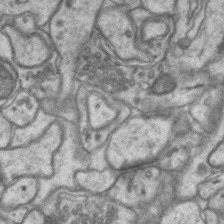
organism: Mouse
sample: CA1 Hippocampus